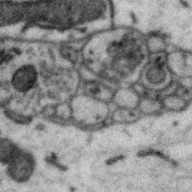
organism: Zebra finch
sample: Brain